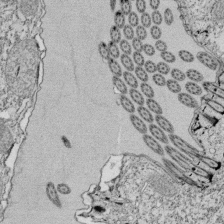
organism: Tetrahymena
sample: Cilia in tetrahymena